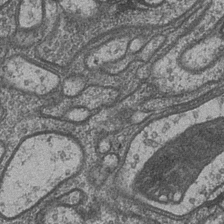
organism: Drosophila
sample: Optic medulla